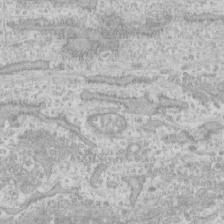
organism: Human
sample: CRL-1474